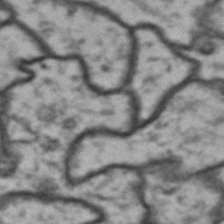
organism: Drosophila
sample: Brain